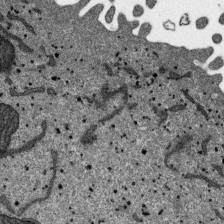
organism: Human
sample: Lung epithelial cells, uninfected (mock) control